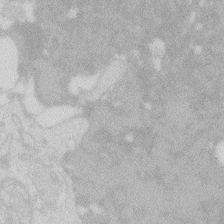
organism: Zebrafish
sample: Macrophage